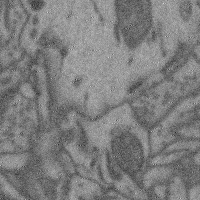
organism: Mouse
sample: Cerebral cortex